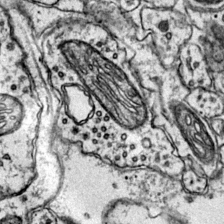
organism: Mouse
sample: Primary visual cortex